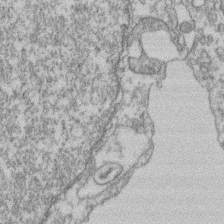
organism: Mouse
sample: T cell stromal cell synapse